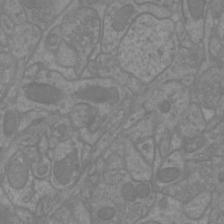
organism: Mouse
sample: Cortical neurons